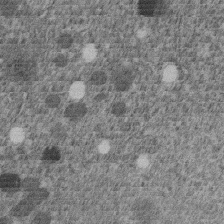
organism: C. elegans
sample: C. elegans embryo early stage